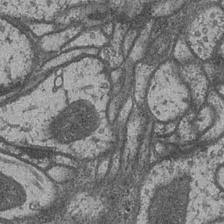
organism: Drosophila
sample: Optic medulla